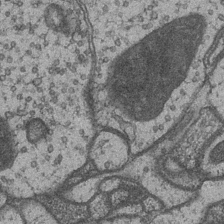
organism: Drosophila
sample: Optic medulla